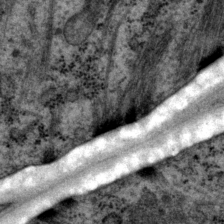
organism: P. pacificus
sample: Pharynx